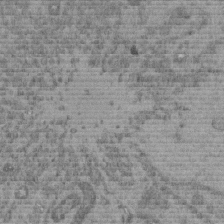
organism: C. elegans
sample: C. elegans embryo early stage